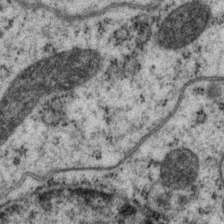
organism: P. pacificus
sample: Pharynx